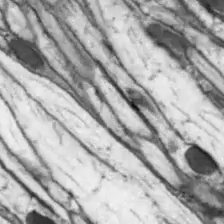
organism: Drosophila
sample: Optic lobe